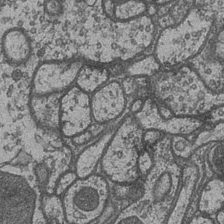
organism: Drosophila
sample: Optic medulla